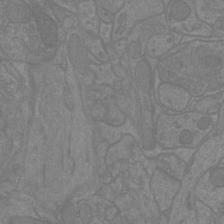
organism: Mouse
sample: Cortical neurons